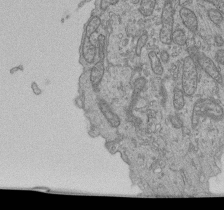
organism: Human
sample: Retinal organoid Rod and Cone cells